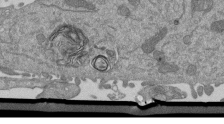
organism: Mouse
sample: ED-1 cell nuclei; centrioles